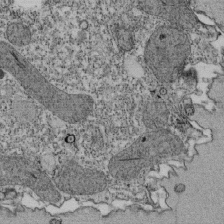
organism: Tetrahymena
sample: Cilia in tetrahymena